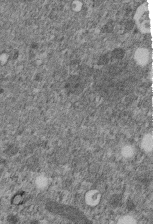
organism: C. elegans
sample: C. elegans embryo early stage